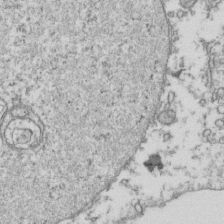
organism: Human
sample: Activated Jurkat CD4+ T cells